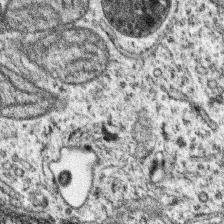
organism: Human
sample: HeLa cells